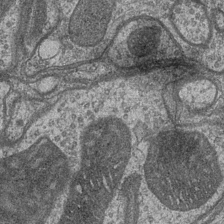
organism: Drosophila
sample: Optic medulla